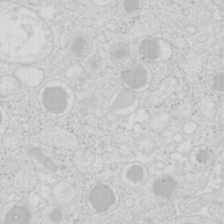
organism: Mouse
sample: Pancreas